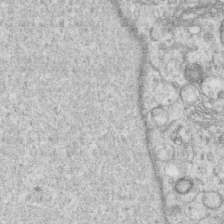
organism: Human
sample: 1205lu cells